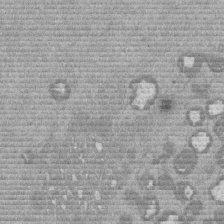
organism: Mouse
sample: Dividing mouse embryo 1 cell stage